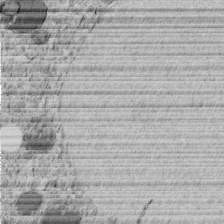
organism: C. elegans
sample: C. elegans embryo early stage